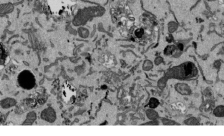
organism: Mouse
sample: ED-1 cell nuclei; centrioles